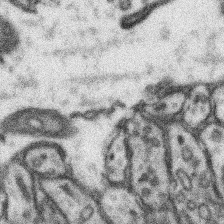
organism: Mouse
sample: Somatosensory cortex neuropil